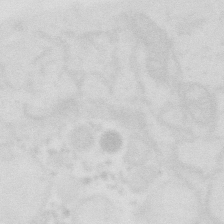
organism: Human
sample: HeLa cells